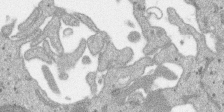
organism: Human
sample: Lung epithelial cells infected with SARS-CoV-2